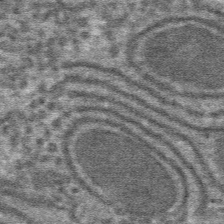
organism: Mouse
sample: Mouse hepatocytes